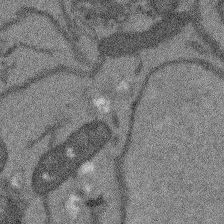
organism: Arabidopsis thaliana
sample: Root tip